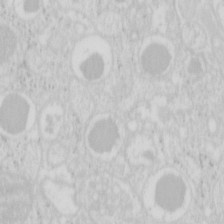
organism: Mouse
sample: Pancreas